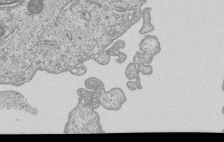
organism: Human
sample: MDA-MB-231 cells